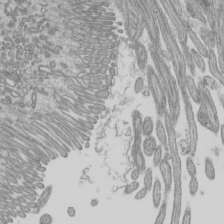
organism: Mouse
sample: Cilia; mouse epididymis